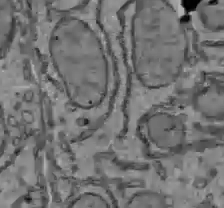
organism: C57BL Mouse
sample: Liver